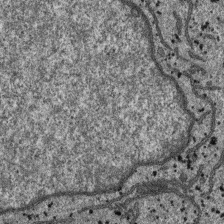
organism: Human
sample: Lung epithelial cells infected with SARS-CoV-2